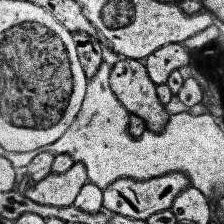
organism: Human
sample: Temporal Lobe